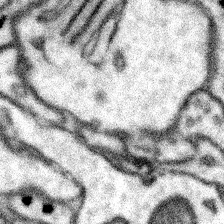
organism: Mouse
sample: Somatosensory cortex neuropil